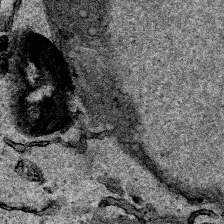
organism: Human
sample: Mitochondria in HCT116 cells